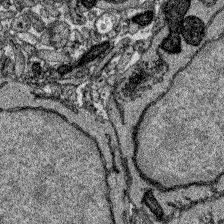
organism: Zebrafish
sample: Larval olfactory bulb